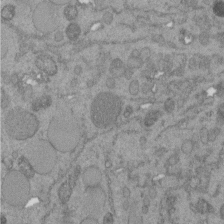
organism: C. elegans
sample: C. elegans embryo early stage